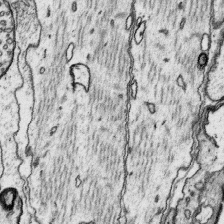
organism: Platynereis dumerilii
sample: Parapodia